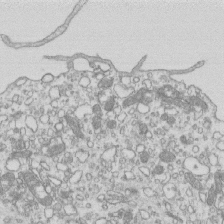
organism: Mouse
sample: Macrophages